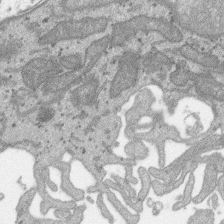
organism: Human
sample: Lung epithelial cells infected with SARS-CoV-2